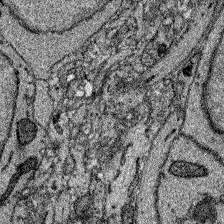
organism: Zebrafish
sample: Larval olfactory bulb